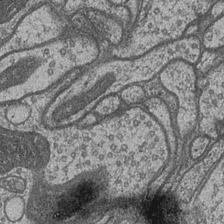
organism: Drosophila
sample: Optic medulla